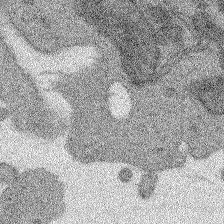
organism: Human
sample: HeLa cells